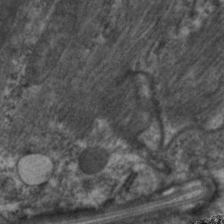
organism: C. elegans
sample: Pharynx